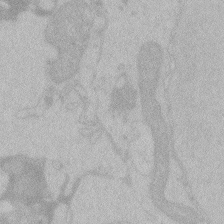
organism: Zebrafish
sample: Macrophage infected with Toxoplasma gondii